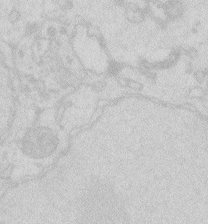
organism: Zebrafish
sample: Macrophage